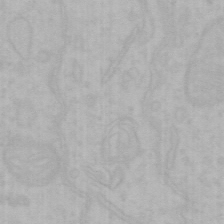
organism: Mouse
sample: Choroid plexus